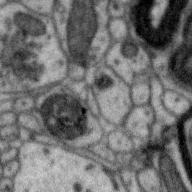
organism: Zebra finch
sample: Brain